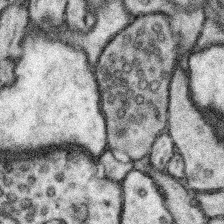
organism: Mouse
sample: Somatosensory cortex neuropil